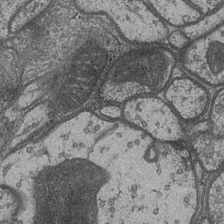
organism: Drosophila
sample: Optic medulla